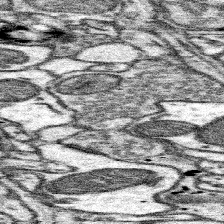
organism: Mouse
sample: Somatosensory cortex neuropil